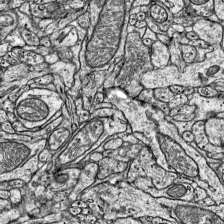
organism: Mouse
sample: Visual Cortex